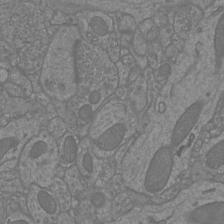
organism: Mouse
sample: Cortical neurons